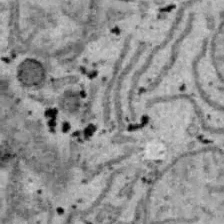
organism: Mouse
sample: Liver from an obese (ob/ob) mouse